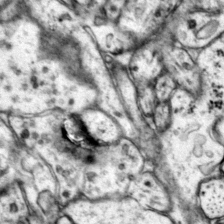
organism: Mouse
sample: Primary visual cortex